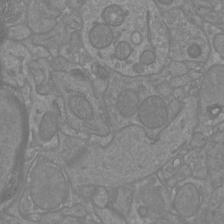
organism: Mouse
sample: Cortical neurons